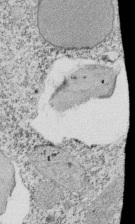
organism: Tetrahymena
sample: Cilia in tetrahymena